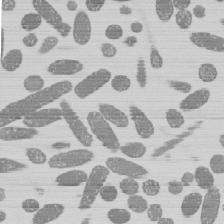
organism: E. coli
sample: Bacterial nucleoid